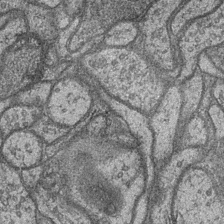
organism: Drosophila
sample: Optic medulla